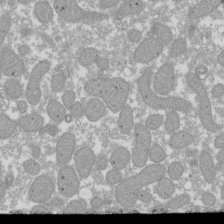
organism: Xenopus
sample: Cilia; centrioles in frog embryo cells